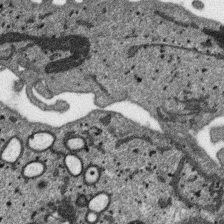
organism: Human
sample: Lung epithelial cells infected with SARS-CoV-2